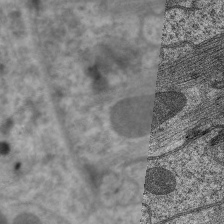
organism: C. elegans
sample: Pharynx